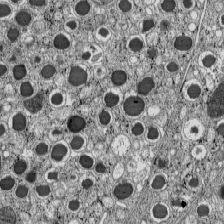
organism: C57BL Mouse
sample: Pancreatic islet